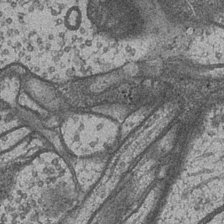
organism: Drosophila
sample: Optic medulla